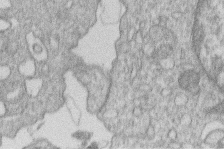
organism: Human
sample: Macrophage cells